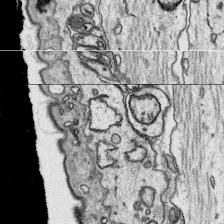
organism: Platynereis dumerilii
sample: Parapodia